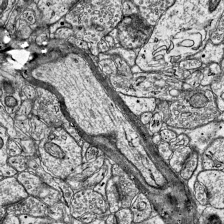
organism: Mouse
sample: Visual Cortex